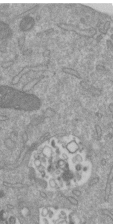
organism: Mouse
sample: ED-1 cell nuclei; centrioles